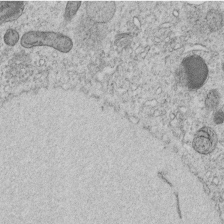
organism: C. elegans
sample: C. elegans embryo early stage